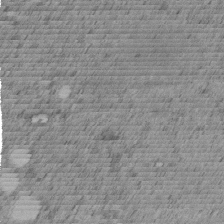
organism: C. elegans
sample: C. elegans embryo early stage